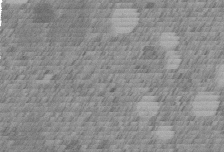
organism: C. elegans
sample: C. elegans embryo early stage